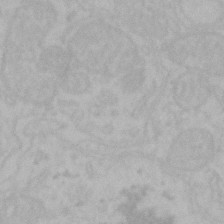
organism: Mouse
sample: Choroid plexus